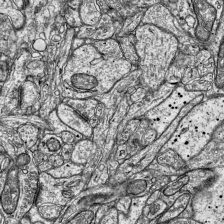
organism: Mouse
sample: Visual Cortex